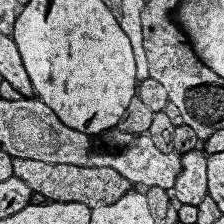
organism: Human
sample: Temporal Lobe